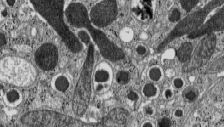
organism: C57BL Mouse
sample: Pancreatic islet